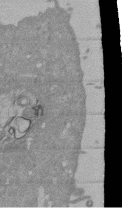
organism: Mouse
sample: ED-1 cell nuclei; centrioles